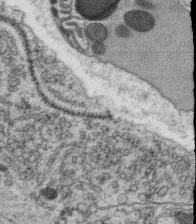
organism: C. elegans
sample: C. elegans oocyte; sperm cells